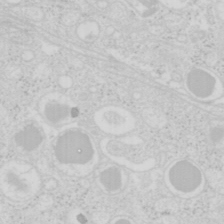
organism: Mouse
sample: Pancreas